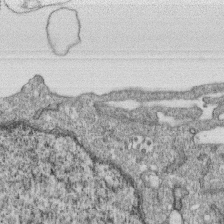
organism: African green monkey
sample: Vero E6 cells infected with SARS-CoV-2